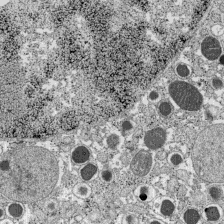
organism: C57BL Mouse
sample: Pancreatic islet